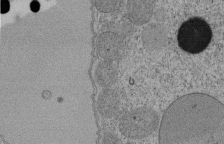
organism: Tetrahymena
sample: Cilia in tetrahymena